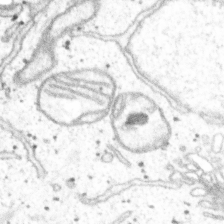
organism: Human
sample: HeLa cells